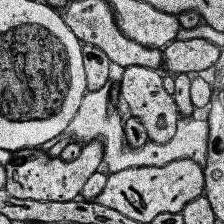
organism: Human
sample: Temporal Lobe